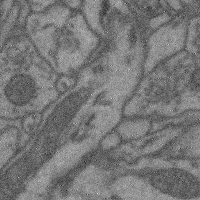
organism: Mouse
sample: Cerebral cortex